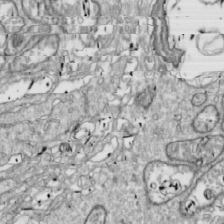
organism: Drosophila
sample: Cell division; meiosis; drosophila spermatocytes